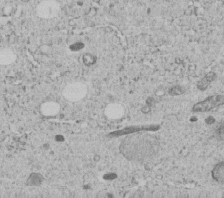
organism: C. elegans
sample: C. elegans embryo early stage